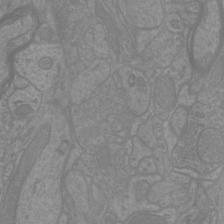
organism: Mouse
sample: Cortical neurons